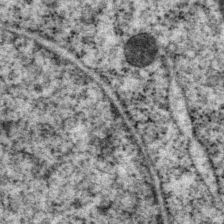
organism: P. pacificus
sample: Pharynx